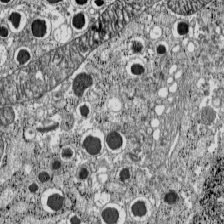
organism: C57BL Mouse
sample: Pancreatic islet